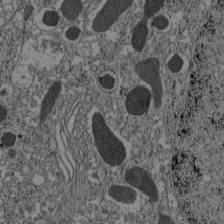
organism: C57BL Mouse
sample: Pancreatic islet